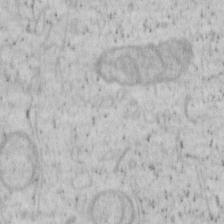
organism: Human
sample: HeLa cells